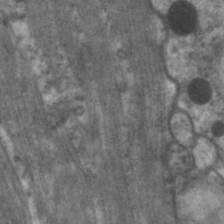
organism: C. elegans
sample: Pharynx